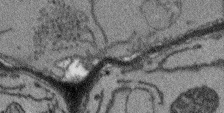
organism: Arabidopsis thaliana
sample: Root tip